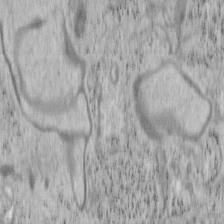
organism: Human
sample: HeLa cells